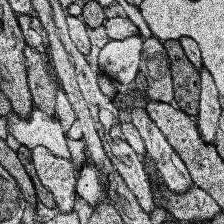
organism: Human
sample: Temporal Lobe